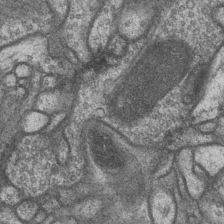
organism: Drosophila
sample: Optic medulla